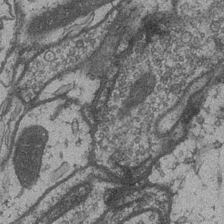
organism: Drosophila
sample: Optic medulla